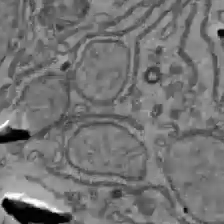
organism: C57BL Mouse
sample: Liver